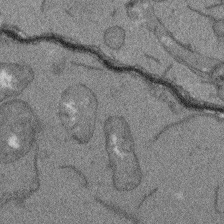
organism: Arabidopsis thaliana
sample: Root tip